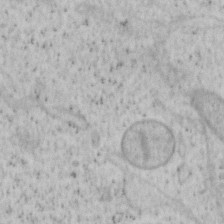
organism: Human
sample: HeLa cells